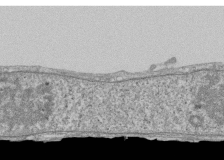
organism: Human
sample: Fibroblast cells